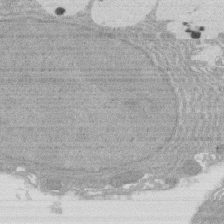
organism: Rat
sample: Salivary granule